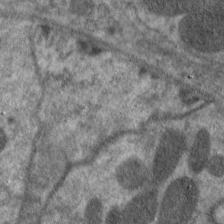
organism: C. elegans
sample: Pharynx